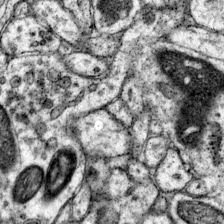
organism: Mouse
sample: Primary visual cortex